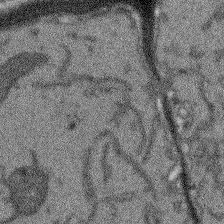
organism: Arabidopsis thaliana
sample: Root tip